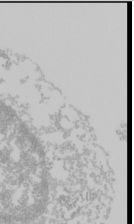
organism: Mouse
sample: Cancer cell death in ED-1 cells